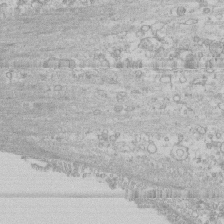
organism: Human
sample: CRL-1474